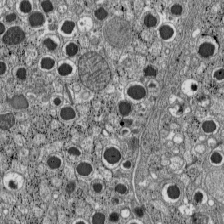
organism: C57BL Mouse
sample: Pancreatic islet